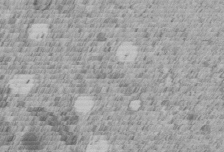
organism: C. elegans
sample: C. elegans embryo early stage